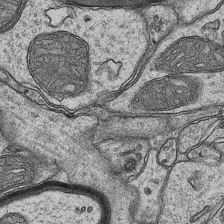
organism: Mouse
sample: CA1 Hippocampus